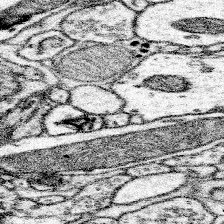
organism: Mouse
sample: Somatosensory cortex neuropil